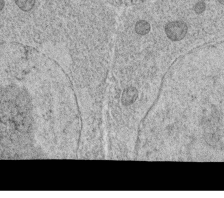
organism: C. elegans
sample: C. elegans oocyte; sperm cells